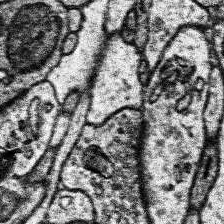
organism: Human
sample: Temporal Lobe